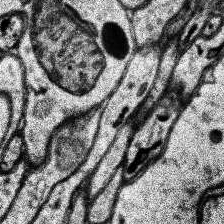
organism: Human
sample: Temporal Lobe